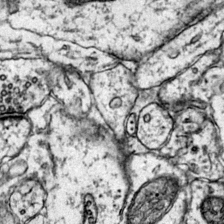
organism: Mouse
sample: Primary visual cortex